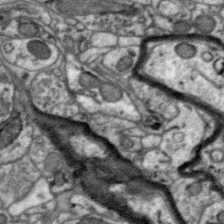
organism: Zebra finch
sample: Brain